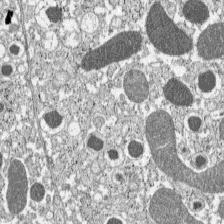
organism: C57BL Mouse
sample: Pancreatic islet